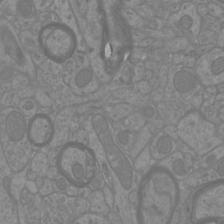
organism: Mouse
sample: Cortical neurons